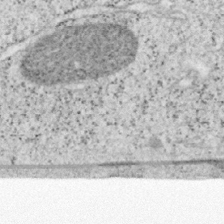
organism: Mouse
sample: OT-I killer T cells with ID8 ovarian cancer cells